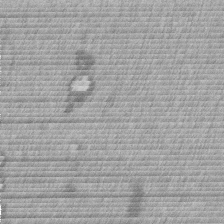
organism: Mouse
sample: Dividing mouse embryo 1 cell stage